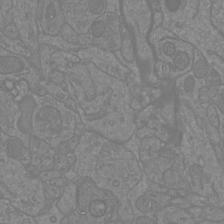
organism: Mouse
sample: Cortical neurons